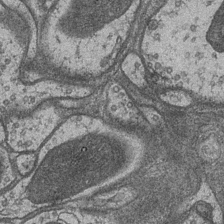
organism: Drosophila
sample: Optic medulla